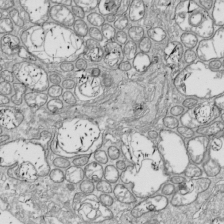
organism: Drosophila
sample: Cell division; meiosis; drosophila spermatocytes